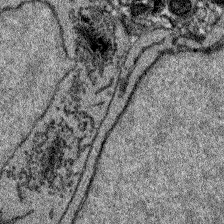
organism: Zebrafish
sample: Larval olfactory bulb